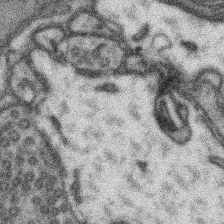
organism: Mouse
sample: Somatosensory cortex neuropil